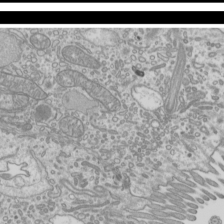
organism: Mouse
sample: Cilia; mouse epididymis